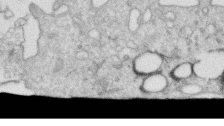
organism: Human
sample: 1205lu cells